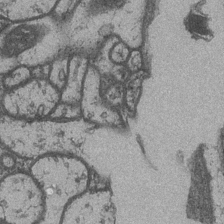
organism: Drosophila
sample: Optic medulla